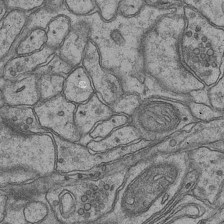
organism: Mouse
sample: CA1 Hippocampus